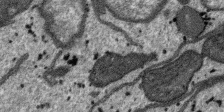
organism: Human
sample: Lung epithelial cells, uninfected (mock) control